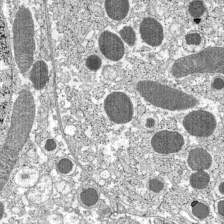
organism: C57BL Mouse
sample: Pancreatic islet